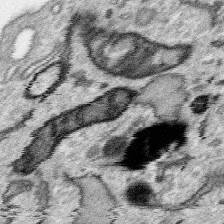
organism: Human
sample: HeLa cells